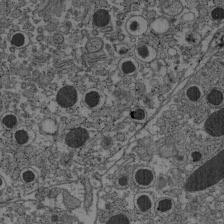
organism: C57BL Mouse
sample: Pancreatic islet